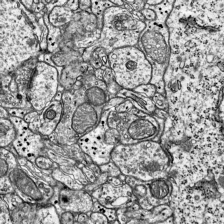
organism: Mouse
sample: Visual Cortex